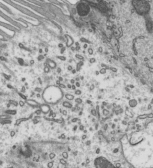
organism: Mouse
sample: Mouse epididymis efferent ductule cilia